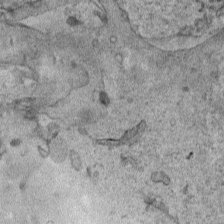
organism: Human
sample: Mitochondria in HCT116 cells